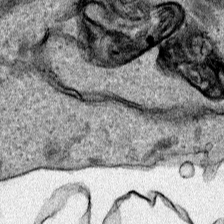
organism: Human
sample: Mitochondria in HCT116 cells